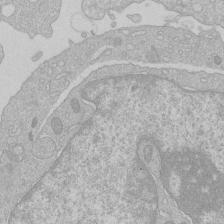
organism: Human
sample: Macrophage cells